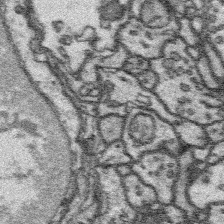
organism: Platynereis dumerilii